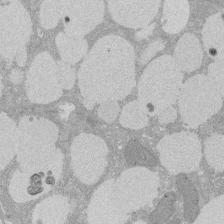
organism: Rat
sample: Salivary granule